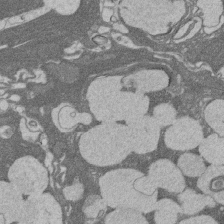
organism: Rat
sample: Salivary granule